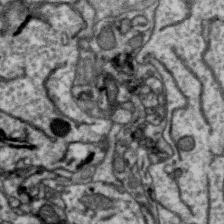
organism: Zebra finch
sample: Brain